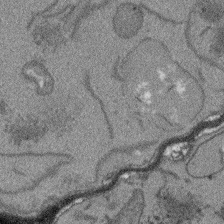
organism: Arabidopsis thaliana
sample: Root tip